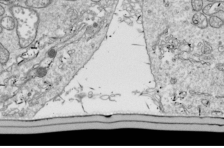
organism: Drosophila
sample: Cell division; meiosis; drosophila spermatocytes